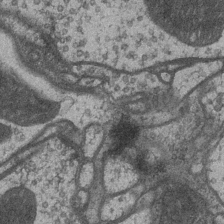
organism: Drosophila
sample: Optic medulla